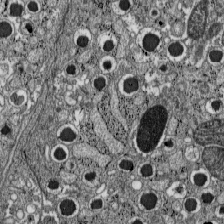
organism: C57BL Mouse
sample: Pancreatic islet